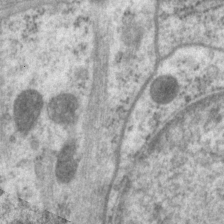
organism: P. pacificus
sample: Pharynx